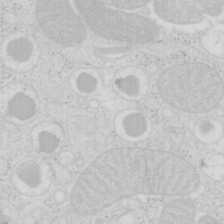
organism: Mouse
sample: Pancreas